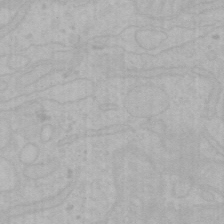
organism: Mouse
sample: Choroid plexus